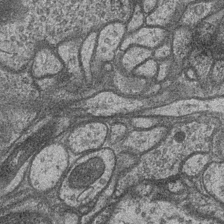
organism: Drosophila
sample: Optic medulla